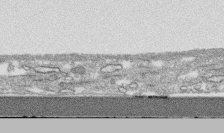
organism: Human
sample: CRL-1474